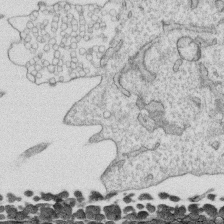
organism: Human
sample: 1205lu cells